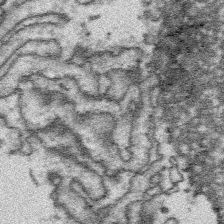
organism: Platynereis dumerilii